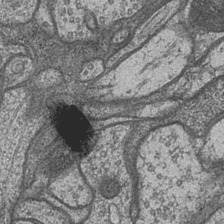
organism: Drosophila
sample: Optic medulla